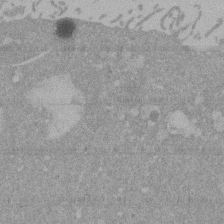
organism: Mouse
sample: ED-1 cell nuclei; centrioles